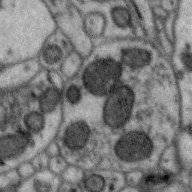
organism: Zebra finch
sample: Brain